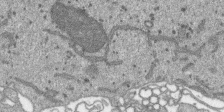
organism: Human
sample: Lung epithelial cells infected with SARS-CoV-2